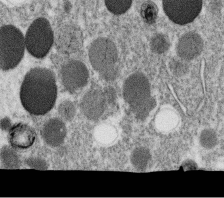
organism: C. elegans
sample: C. elegans oocyte; sperm cells